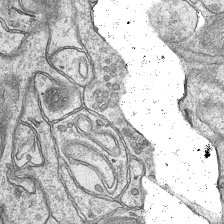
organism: Mouse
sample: CA1 Hippocampus